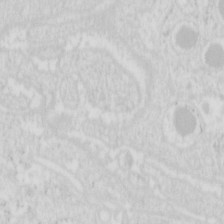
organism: Mouse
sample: Pancreas